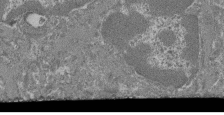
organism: Mouse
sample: Glomerulus